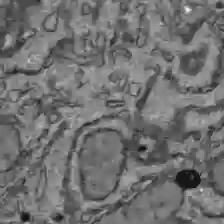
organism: C57BL Mouse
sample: Liver